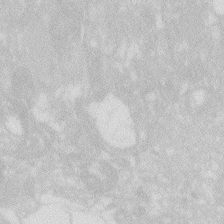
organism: Zebrafish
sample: Macrophage